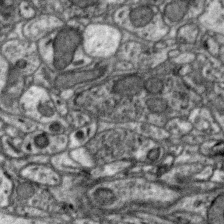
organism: Zebra finch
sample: Brain